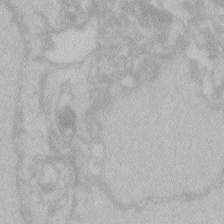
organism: Zebrafish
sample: Macrophage infected with Toxoplasma gondii